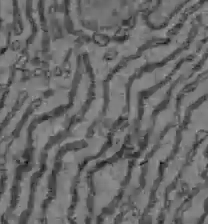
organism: C57BL Mouse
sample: Liver